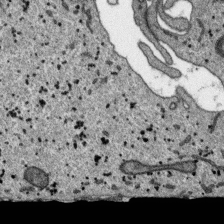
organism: Human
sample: Lung epithelial cells, uninfected (mock) control